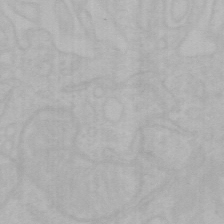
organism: Mouse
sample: Choroid plexus